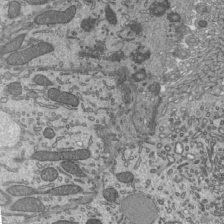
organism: Mouse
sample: Mouse epididymis efferent ductule cilia